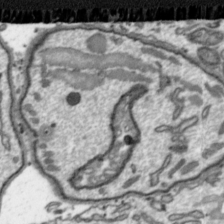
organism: Toxoplasma gondii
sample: Parasites in a vacuole inside a host cell